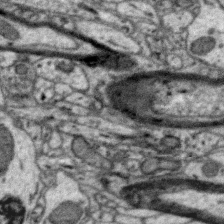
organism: Zebra finch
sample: Brain